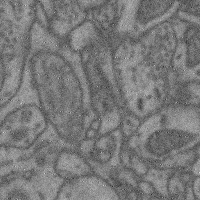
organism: Mouse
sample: Cerebral cortex